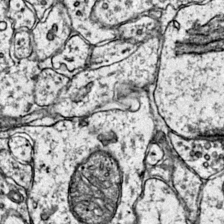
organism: Mouse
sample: Primary visual cortex